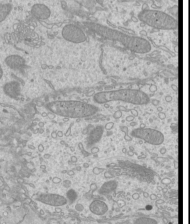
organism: Mouse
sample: Cilia; mouse epididymis